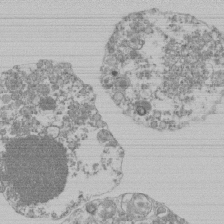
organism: Mouse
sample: Activated Pmel transgenic CD8+ T Cells